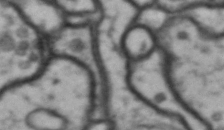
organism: Drosophila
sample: Brain